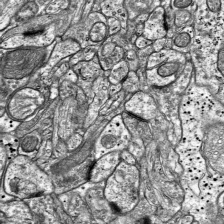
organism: Mouse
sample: Visual Cortex